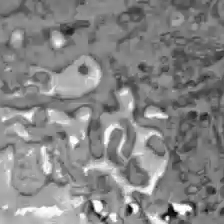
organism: C57BL Mouse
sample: Liver